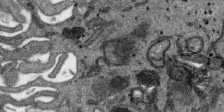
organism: Human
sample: Lung epithelial cells, uninfected (mock) control